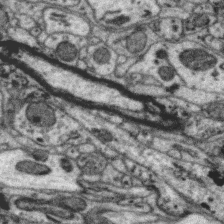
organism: Zebra finch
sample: Brain